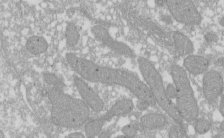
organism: Xenopus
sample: Cilia; centrioles in frog embryo cells